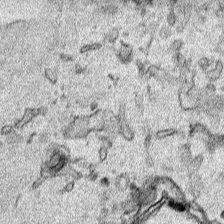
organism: Human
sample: Mitochondria in HCT116 cells